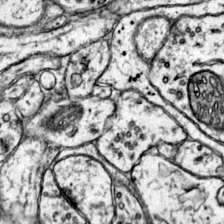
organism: Mouse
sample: Primary visual cortex